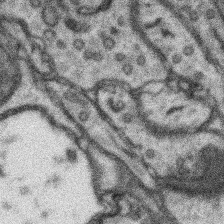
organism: Mouse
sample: Somatosensory cortex neuropil